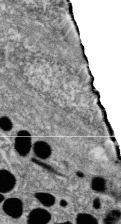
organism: Zebrafish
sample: Cilia; retinal pigment epithelium